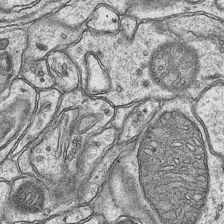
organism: Mouse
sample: CA1 Hippocampus